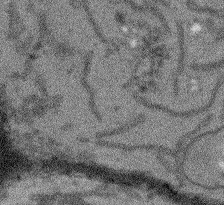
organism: Arabidopsis thaliana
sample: Root tip